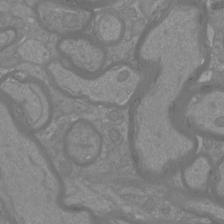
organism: Mouse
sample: Cortical neurons